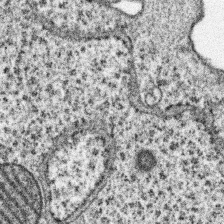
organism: Human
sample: HeLa cells